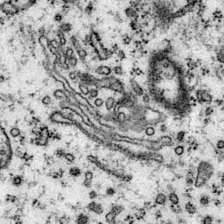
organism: Mouse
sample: Primary visual cortex